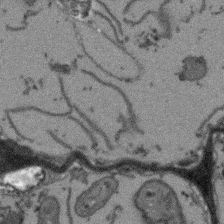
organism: Arabidopsis thaliana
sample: Root tip